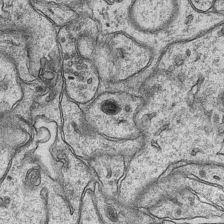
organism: Mouse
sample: CA1 Hippocampus